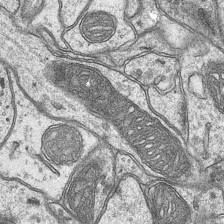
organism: Mouse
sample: CA1 Hippocampus